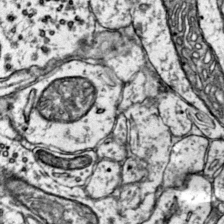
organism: Mouse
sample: Primary visual cortex